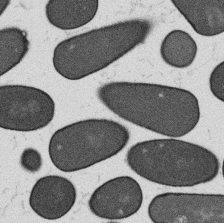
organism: B. subtilis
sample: Bacterial spore